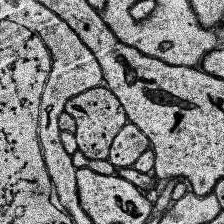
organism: Human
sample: Temporal Lobe